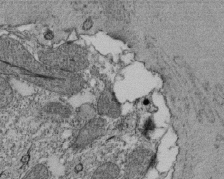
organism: Tetrahymena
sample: Cilia in tetrahymena